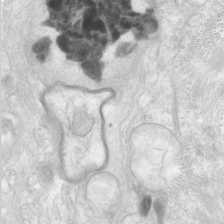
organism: Human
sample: Neocortex